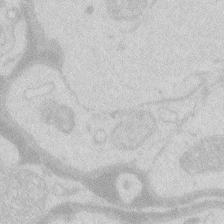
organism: Zebrafish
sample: Macrophage